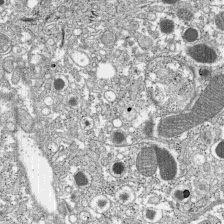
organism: C57BL Mouse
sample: Pancreatic islet